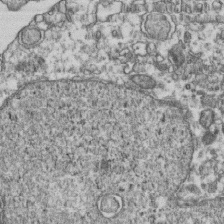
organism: Human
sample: Activated Jurkat CD4+ T cells